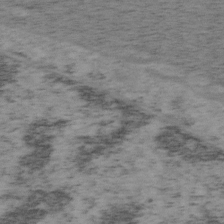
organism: Mouse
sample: OT-I killer T cells with ID8 ovarian cancer cells